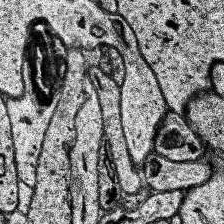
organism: Human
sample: Temporal Lobe